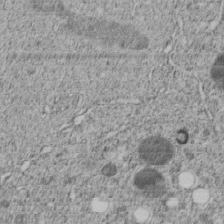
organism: C. elegans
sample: C. elegans embryo early stage